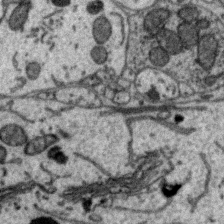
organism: Zebra finch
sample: Brain